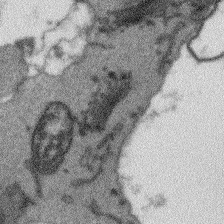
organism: Arabidopsis thaliana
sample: Root tip